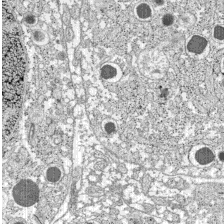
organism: C57BL Mouse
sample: Pancreatic islet